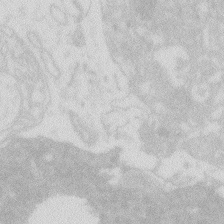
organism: Zebrafish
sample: Macrophage